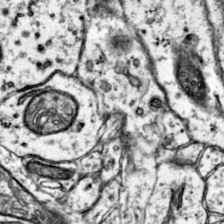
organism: Mouse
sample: Primary visual cortex